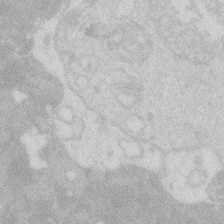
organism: Zebrafish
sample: Macrophage